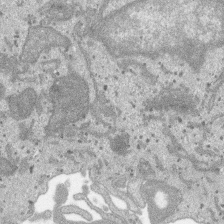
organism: Human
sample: Lung epithelial cells infected with SARS-CoV-2